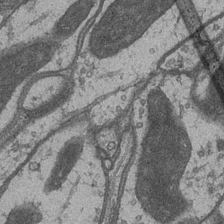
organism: Drosophila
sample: Optic medulla